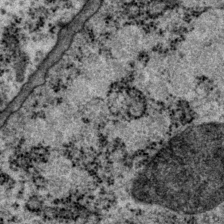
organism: P. pacificus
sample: Pharynx